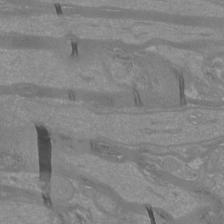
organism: Mouse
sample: Cortical neurons